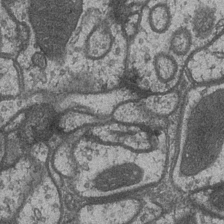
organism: Drosophila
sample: Optic medulla